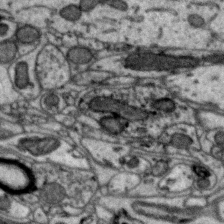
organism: Zebra finch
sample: Brain